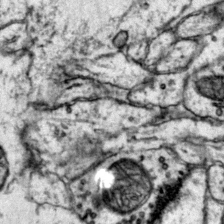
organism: Mouse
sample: Primary visual cortex